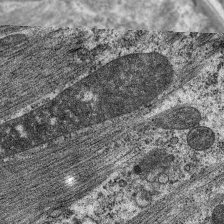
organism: C. elegans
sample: Pharynx